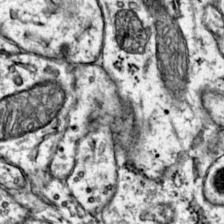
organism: Mouse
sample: Primary visual cortex